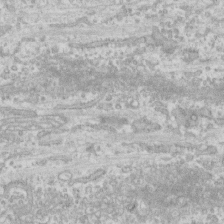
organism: Human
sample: CRL-1474